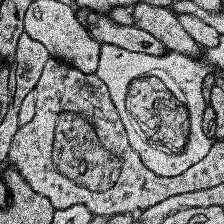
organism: Human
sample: Temporal Lobe